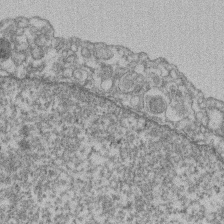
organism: Mouse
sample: T cell stromal cell synapse